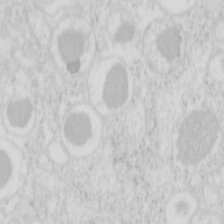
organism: Mouse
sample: Pancreas